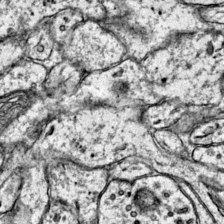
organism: Mouse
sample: Primary visual cortex